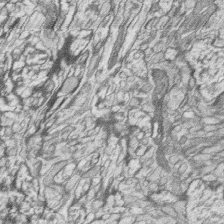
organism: Zebrafish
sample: synaptic ribbons in rod cells and cone cells